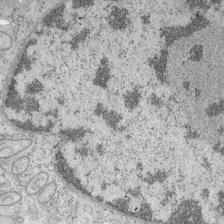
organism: Mouse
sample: OT-I killer T cells with ID8 ovarian cancer cells